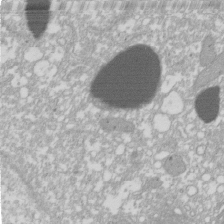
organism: Xenopus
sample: Cilia; centrioles in frog embryo cells